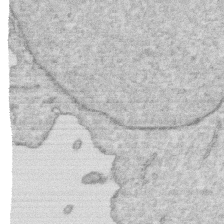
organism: Human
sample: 1205lu cells